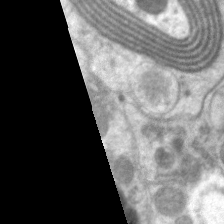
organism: C. elegans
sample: Pharynx